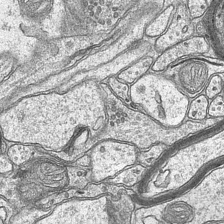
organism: Mouse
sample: CA1 Hippocampus